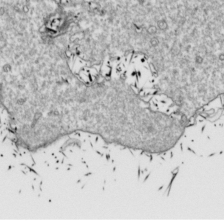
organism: Drosophila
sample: Cell division; meiosis; drosophila spermatocytes